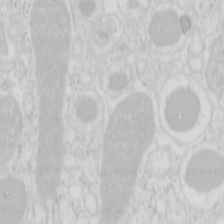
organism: Mouse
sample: Pancreas